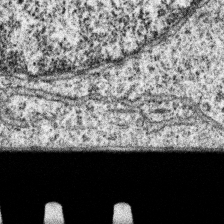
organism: Human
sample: HeLa cells